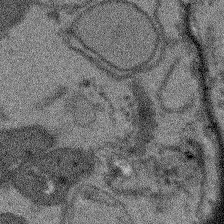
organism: Arabidopsis thaliana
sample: Root tip